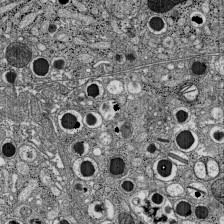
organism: C57BL Mouse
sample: Pancreatic islet